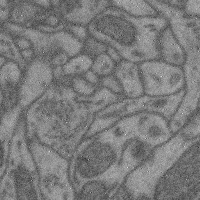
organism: Mouse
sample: Cerebral cortex